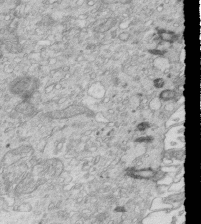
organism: Mouse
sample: Multiciliated cells